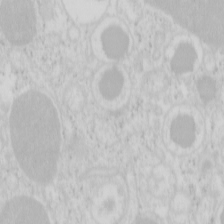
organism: Mouse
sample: Pancreas